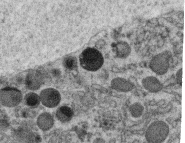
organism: C. elegans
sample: C. elegans oocyte; sperm cells